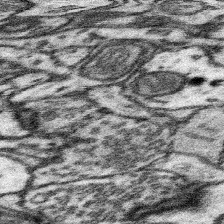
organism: Mouse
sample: Somatosensory cortex neuropil